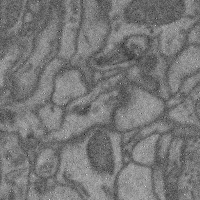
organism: Mouse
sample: Cerebral cortex